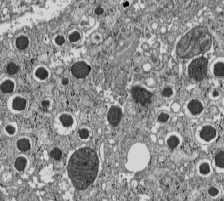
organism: C57BL Mouse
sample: Pancreatic islet